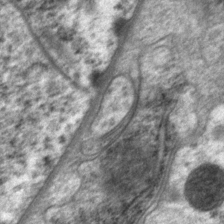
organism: P. pacificus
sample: Pharynx